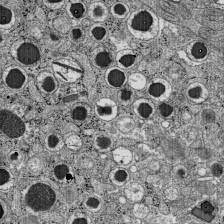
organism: C57BL Mouse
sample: Pancreatic islet